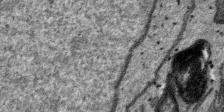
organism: Human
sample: Lung epithelial cells, uninfected (mock) control